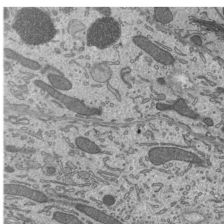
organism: Mouse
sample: Mouse epididymis efferent ductule cilia